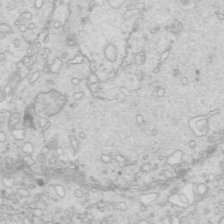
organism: Mouse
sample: Multiciliated cells